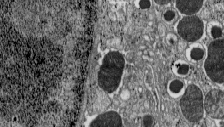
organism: C57BL Mouse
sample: Pancreatic islet